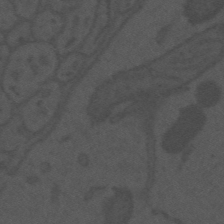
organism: Mouse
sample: Suprachiasmatic nucleus